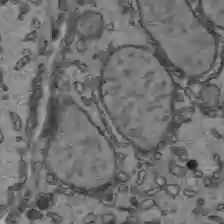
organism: C57BL Mouse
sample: Liver